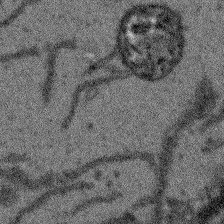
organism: Arabidopsis thaliana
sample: Root tip